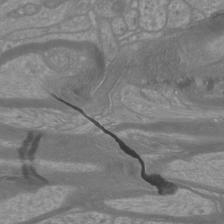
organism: Mouse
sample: Cortical neurons